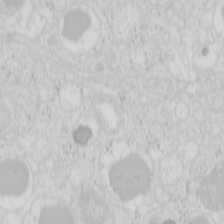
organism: Mouse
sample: Pancreas